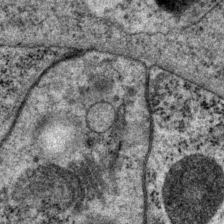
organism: P. pacificus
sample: Pharynx